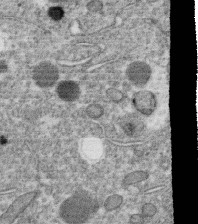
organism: C. elegans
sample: C. elegans oocyte; sperm cells